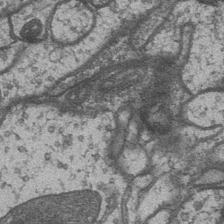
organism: Drosophila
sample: Optic medulla